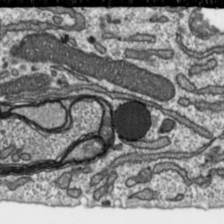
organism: Toxoplasma gondii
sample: Parasites in a vacuole inside a host cell